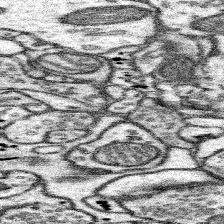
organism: Mouse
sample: Somatosensory cortex neuropil